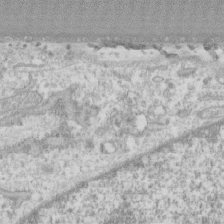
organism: Human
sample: CRL-1474